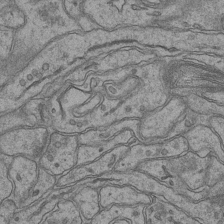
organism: Mouse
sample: CA1 Hippocampus